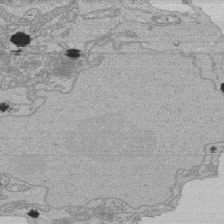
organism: Human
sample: Activated Jurkat CD4+ T cells